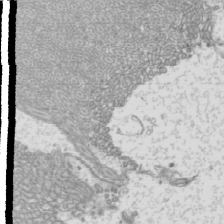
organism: Mouse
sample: Cilia; mouse epididymis